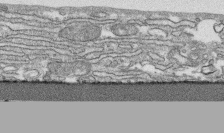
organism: Human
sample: CRL-1474